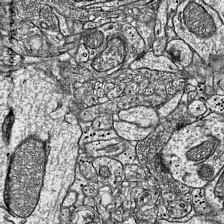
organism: Mouse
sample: Visual Cortex